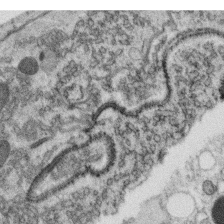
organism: C. elegans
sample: C. elegans oocyte; sperm cells